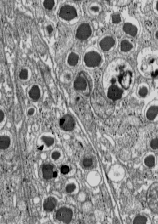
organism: C57BL Mouse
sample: Pancreatic islet